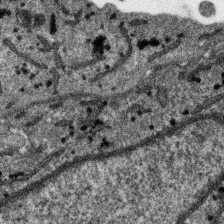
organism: Human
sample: Lung epithelial cells infected with SARS-CoV-2